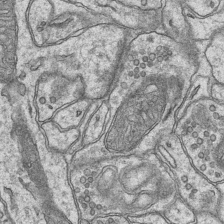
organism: Mouse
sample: CA1 Hippocampus